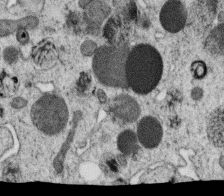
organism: C. elegans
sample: C. elegans oocyte; sperm cells